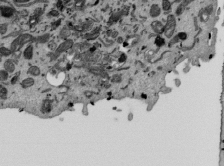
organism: Mouse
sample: ED-1 cell nuclei; centrioles